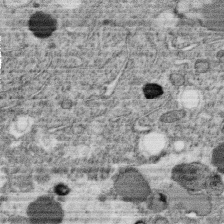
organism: C. elegans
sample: C. elegans oocyte; sperm cells